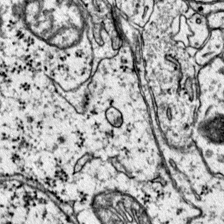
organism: Mouse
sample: Primary visual cortex